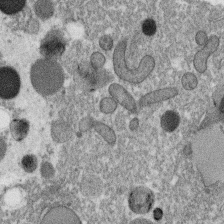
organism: C. elegans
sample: C. elegans oocyte; sperm cells